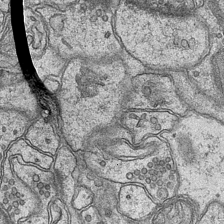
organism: Mouse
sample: CA1 Hippocampus